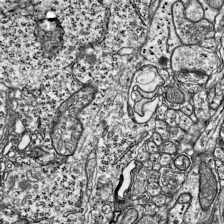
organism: Mouse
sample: Visual Cortex